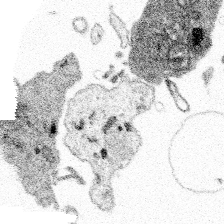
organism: Spongilla lacustris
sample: Multiple